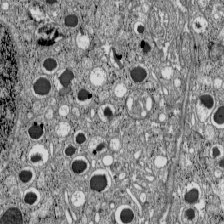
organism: C57BL Mouse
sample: Pancreatic islet